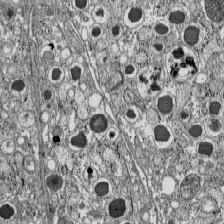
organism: C57BL Mouse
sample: Pancreatic islet